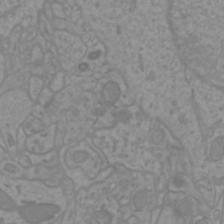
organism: Mouse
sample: Cortical neurons